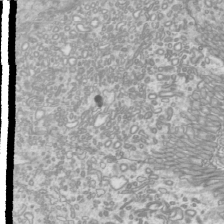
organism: Mouse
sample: Cilia; mouse epididymis